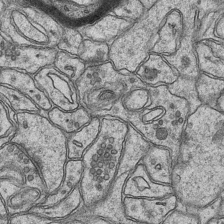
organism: Mouse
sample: CA1 Hippocampus